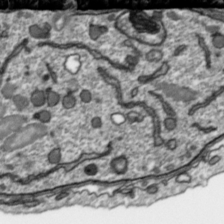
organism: Toxoplasma gondii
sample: Parasites in a vacuole inside a host cell